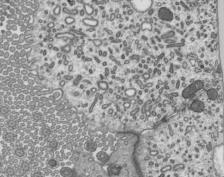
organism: Mouse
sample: Mouse epididymis efferent ductule cilia